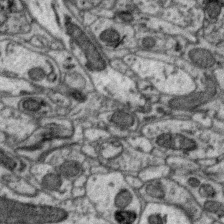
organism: Zebra finch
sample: Brain